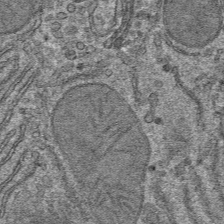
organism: Mouse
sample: Mouse hepatocytes